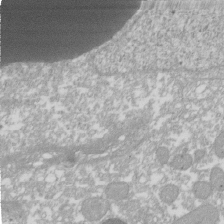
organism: Xenopus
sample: Cilia; centrioles in frog embryo cells